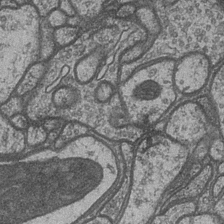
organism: Drosophila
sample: Optic medulla